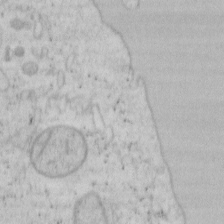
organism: Human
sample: HeLa cells